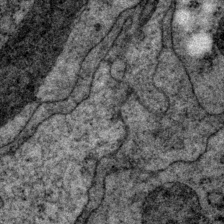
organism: P. pacificus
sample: Pharynx